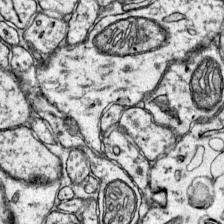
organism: Mouse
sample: Primary visual cortex